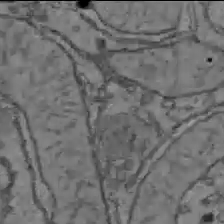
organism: C57BL Mouse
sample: Liver